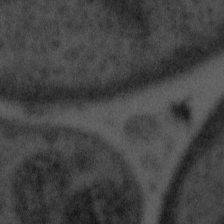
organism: Tuwongella immobilis